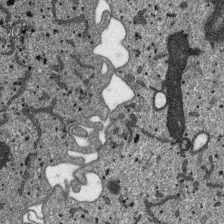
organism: Human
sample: Lung epithelial cells infected with SARS-CoV-2